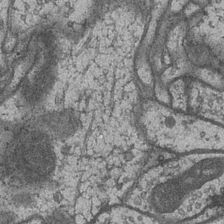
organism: Drosophila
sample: Optic medulla